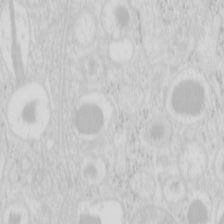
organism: Mouse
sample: Pancreas